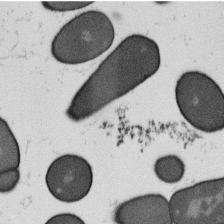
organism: B. subtilis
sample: Bacterial spore